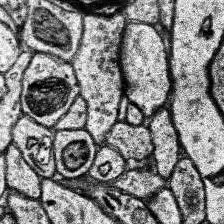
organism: Human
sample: Temporal Lobe